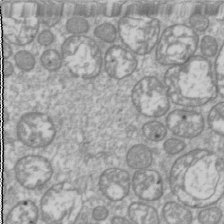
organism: Drosophila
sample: Cell division; meiosis; drosophila spermatocytes